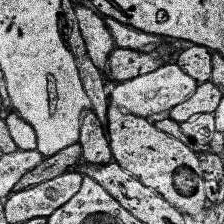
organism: Human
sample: Temporal Lobe